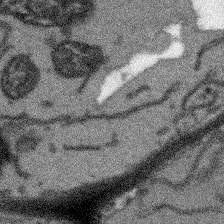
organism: Arabidopsis thaliana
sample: Root tip